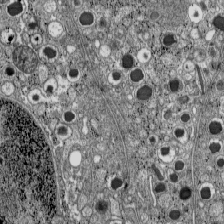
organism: C57BL Mouse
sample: Pancreatic islet